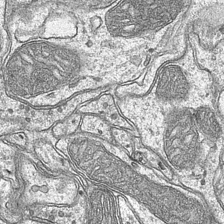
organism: Mouse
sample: CA1 Hippocampus